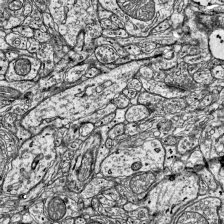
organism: Mouse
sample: Visual Cortex